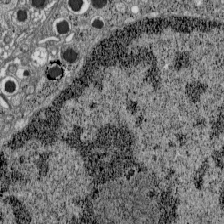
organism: C57BL Mouse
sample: Pancreatic islet